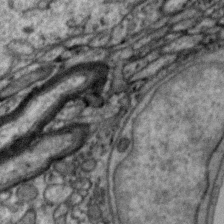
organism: Zebra finch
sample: Brain